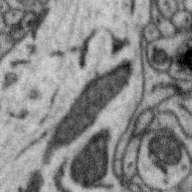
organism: Zebra finch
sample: Brain